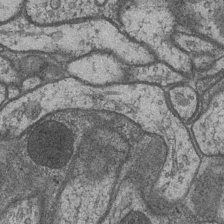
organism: Drosophila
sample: Optic medulla